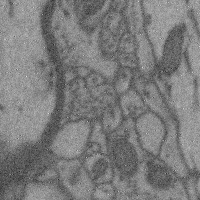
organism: Mouse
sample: Cerebral cortex